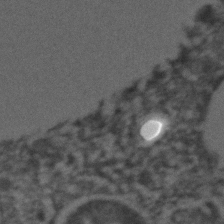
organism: C. elegans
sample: C. elegans embryo